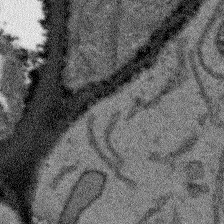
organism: Arabidopsis thaliana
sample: Root tip